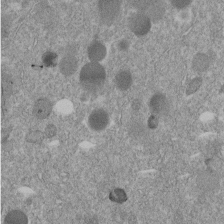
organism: C. elegans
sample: C. elegans embryo early stage